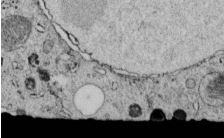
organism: C. elegans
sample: C. elegans embryo early stage